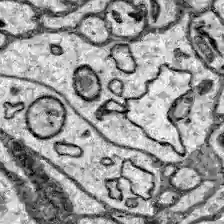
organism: Zebrafish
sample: Brain